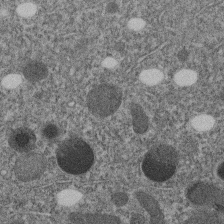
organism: C. elegans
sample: C. elegans embryo early stage